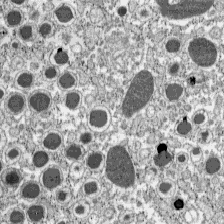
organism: C57BL Mouse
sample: Pancreatic islet